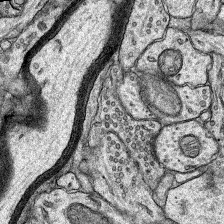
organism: Rat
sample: Hippocampus